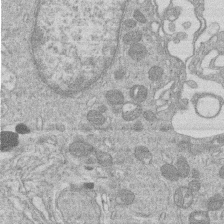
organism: Human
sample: Macrophage cells